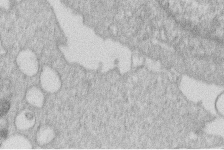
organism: Human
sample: Macrophage cells